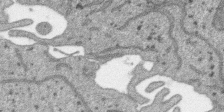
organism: Human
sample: Lung epithelial cells infected with SARS-CoV-2